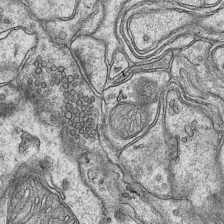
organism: Mouse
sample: CA1 Hippocampus